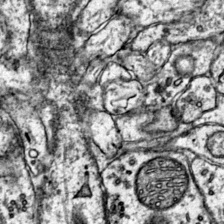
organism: Mouse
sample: Primary visual cortex